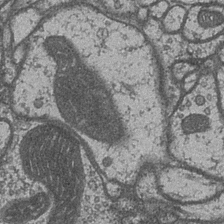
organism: Drosophila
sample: Optic medulla